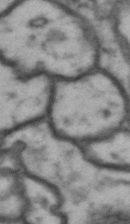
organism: Drosophila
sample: Brain